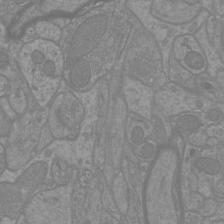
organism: Mouse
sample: Cortical neurons